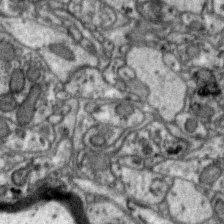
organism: Zebra finch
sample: Brain